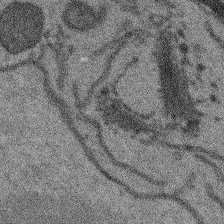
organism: Arabidopsis thaliana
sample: Root tip